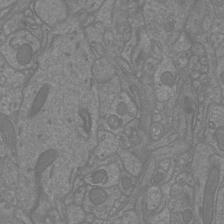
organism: Mouse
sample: Cortical neurons